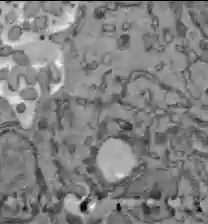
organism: C57BL Mouse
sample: Liver